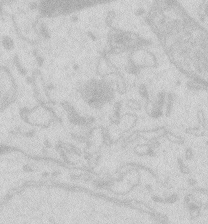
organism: Zebrafish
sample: Macrophage